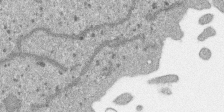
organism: Human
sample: Lung epithelial cells infected with SARS-CoV-2